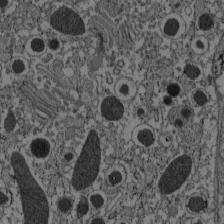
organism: C57BL Mouse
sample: Pancreatic islet